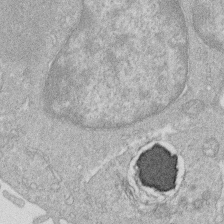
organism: Human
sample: Macrophage cells